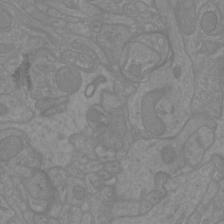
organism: Mouse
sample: Cortical neurons